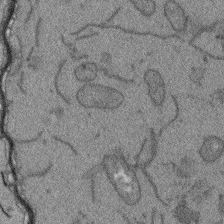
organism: Arabidopsis thaliana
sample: Root tip